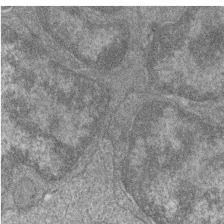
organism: Zebrafish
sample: Cilia; retinal pigment epithelium